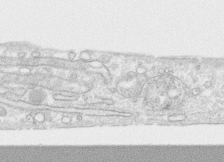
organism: Human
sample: CRL-1474